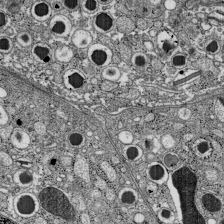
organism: C57BL Mouse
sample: Pancreatic islet